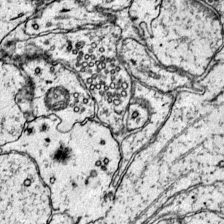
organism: Mouse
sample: Primary visual cortex